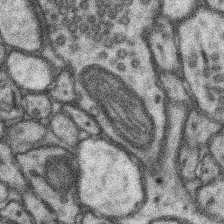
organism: Mouse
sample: Somatosensory cortex neuropil